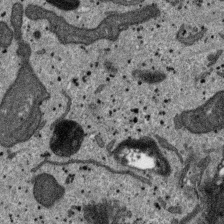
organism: Human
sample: Lung epithelial cells, uninfected (mock) control